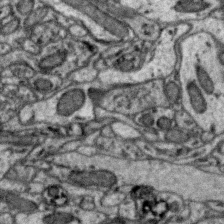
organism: Zebra finch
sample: Brain